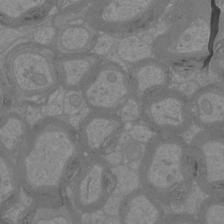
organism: Mouse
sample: Cortical neurons